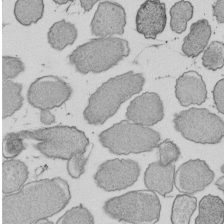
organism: E. coli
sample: Bacterial nucleoid